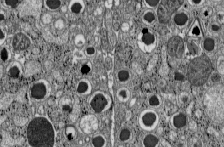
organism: C57BL Mouse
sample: Pancreatic islet